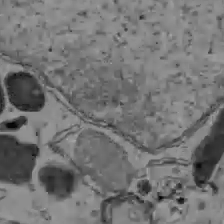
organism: C57BL Mouse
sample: Liver